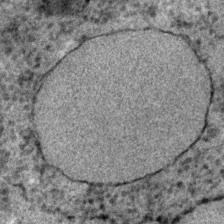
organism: C. elegans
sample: C. elegans embryo